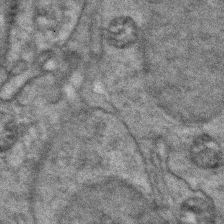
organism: Zebrafish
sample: Zebrafish embryo